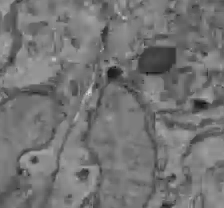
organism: C57BL Mouse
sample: Liver